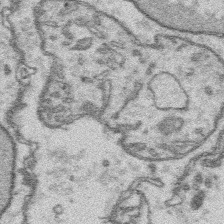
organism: Platynereis dumerilii